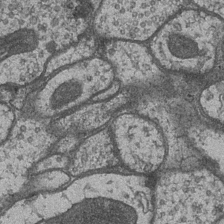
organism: Drosophila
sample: Optic medulla